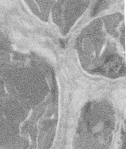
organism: Mouse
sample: T cell stromal cell synapse